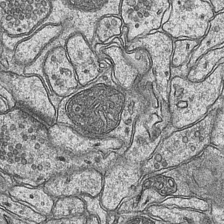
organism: Mouse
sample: CA1 Hippocampus